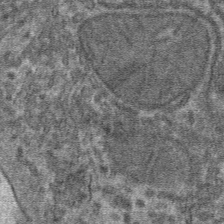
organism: Mouse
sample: Mouse hepatocytes